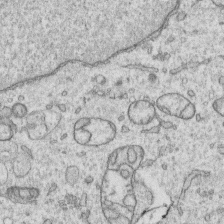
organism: Human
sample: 1205lu cells